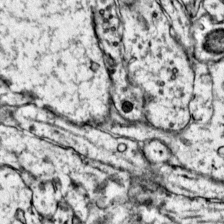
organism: Mouse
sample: Primary visual cortex